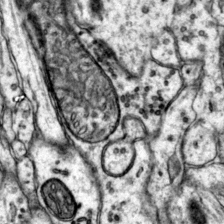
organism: Mouse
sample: Primary visual cortex